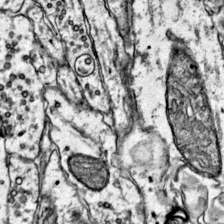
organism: Mouse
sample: Primary visual cortex